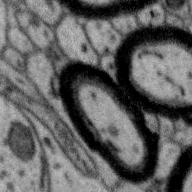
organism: Zebra finch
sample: Brain